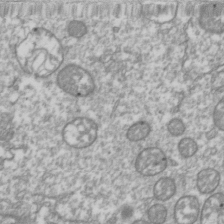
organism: Drosophila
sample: Cell division; meiosis; drosophila spermatocytes